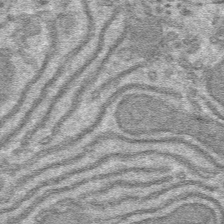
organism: Mouse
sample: Mouse hepatocytes